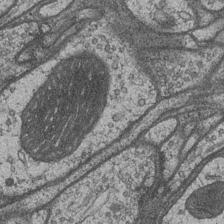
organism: Drosophila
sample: Optic medulla